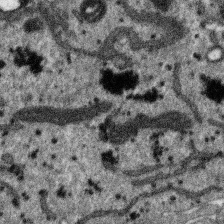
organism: Human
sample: Lung epithelial cells infected with SARS-CoV-2